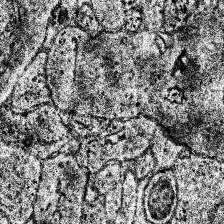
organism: Human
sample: Temporal Lobe